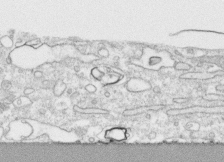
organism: Human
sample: CRL-1474